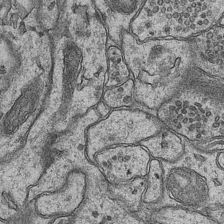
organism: Mouse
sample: CA1 Hippocampus